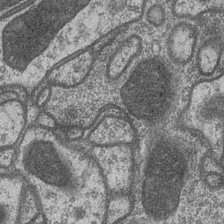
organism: Drosophila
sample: Optic medulla